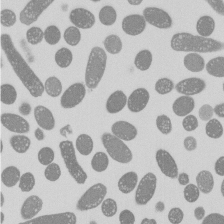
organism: E. coli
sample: Bacterial nucleoid